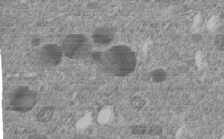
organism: C. elegans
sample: C. elegans embryo early stage